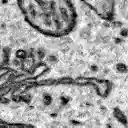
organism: Zebrafish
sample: Brain